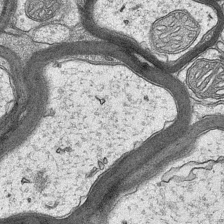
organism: Mouse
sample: CA1 Hippocampus